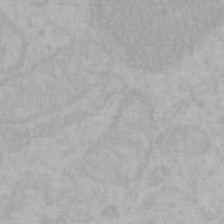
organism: Mouse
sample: Choroid plexus